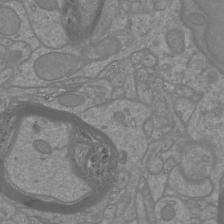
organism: Mouse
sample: Cortical neurons